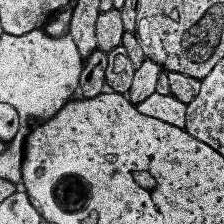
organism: Human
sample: Temporal Lobe